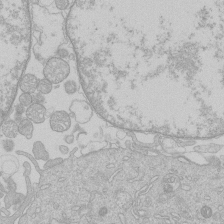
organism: Human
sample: Macrophage cells